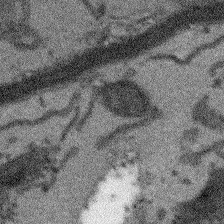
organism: Arabidopsis thaliana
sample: Root tip